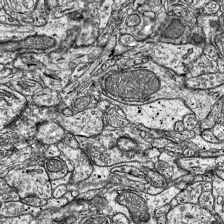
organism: Mouse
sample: Visual Cortex